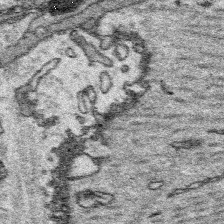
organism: Platynereis dumerilii